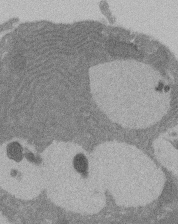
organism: Rat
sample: Salivary granule